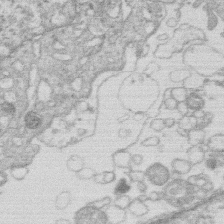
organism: Human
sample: Macrophage cells